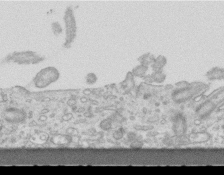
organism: Mouse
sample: Centriole in ependymal cells